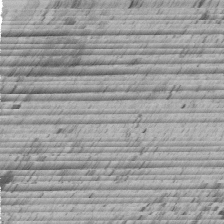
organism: C. elegans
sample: C. elegans embryo early stage